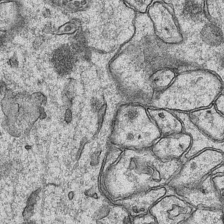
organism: Mouse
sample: CA1 Hippocampus